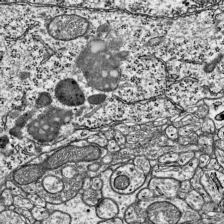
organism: Mouse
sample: Visual Cortex